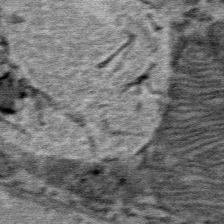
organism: Mouse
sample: Mouse Salivary gland